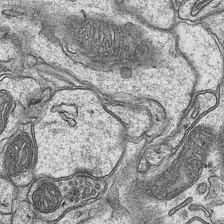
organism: Mouse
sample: CA1 Hippocampus